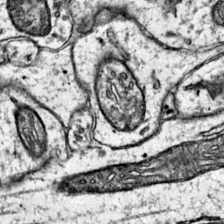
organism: Mouse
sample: Primary visual cortex